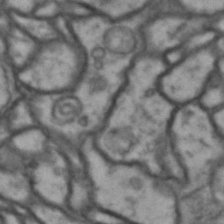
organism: Drosophila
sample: Brain